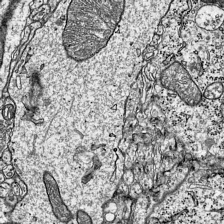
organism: Mouse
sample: Visual Cortex